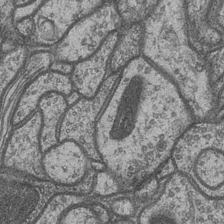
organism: Drosophila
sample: Optic medulla